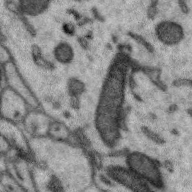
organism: Zebra finch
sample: Brain